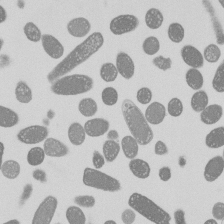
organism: E. coli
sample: Bacterial nucleoid